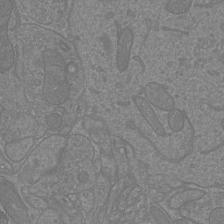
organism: Mouse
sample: Cortical neurons